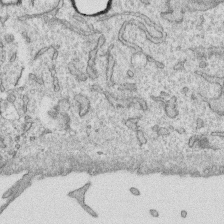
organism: Human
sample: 1205lu cells